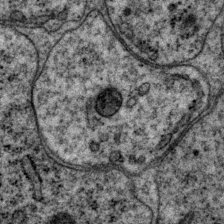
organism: P. pacificus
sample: Pharynx